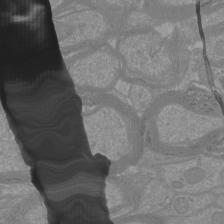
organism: Mouse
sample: Cortical neurons